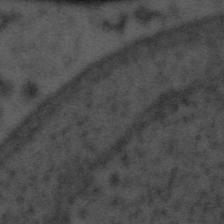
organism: Tuwongella immobilis